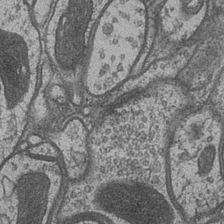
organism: Drosophila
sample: Optic medulla